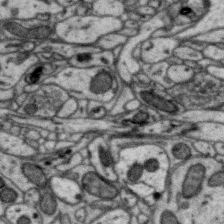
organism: Zebra finch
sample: Brain